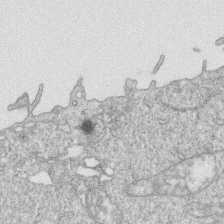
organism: Human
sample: HeLa cell HIV synapse